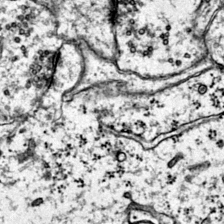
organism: Mouse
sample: Primary visual cortex